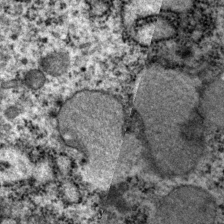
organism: P. pacificus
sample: Pharynx